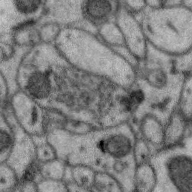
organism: Zebra finch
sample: Brain